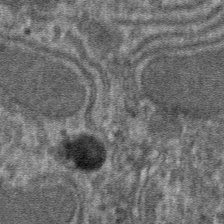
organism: Mouse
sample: Mouse hepatocytes